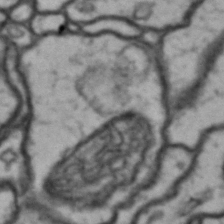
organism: Drosophila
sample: Brain